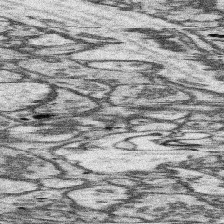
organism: Mouse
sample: Somatosensory cortex neuropil